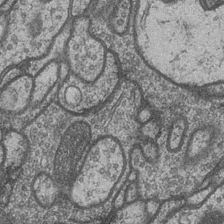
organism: Drosophila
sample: Optic medulla